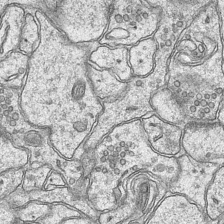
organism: Mouse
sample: CA1 Hippocampus